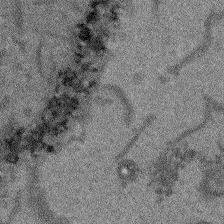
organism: Arabidopsis thaliana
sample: Root tip